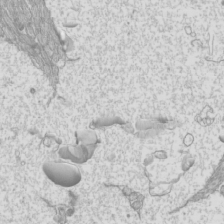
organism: Mouse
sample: Cilia; mouse epididymis